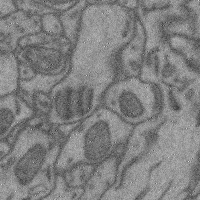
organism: Mouse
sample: Cerebral cortex